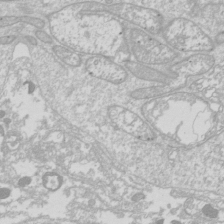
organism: Drosophila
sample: Cell division; meiosis; drosophila spermatocytes